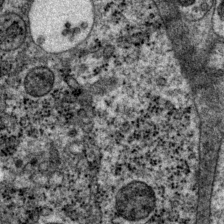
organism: P. pacificus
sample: Pharynx